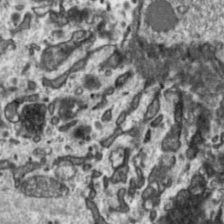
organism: Toxoplasma gondii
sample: Parasites in a vacuole inside a host cell